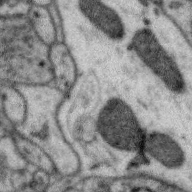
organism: Zebra finch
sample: Brain